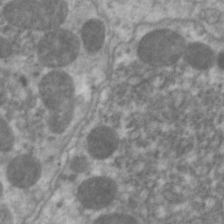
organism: C. elegans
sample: Pharynx